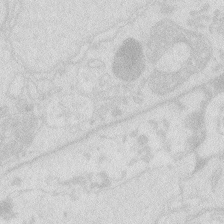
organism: Zebrafish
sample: Macrophage